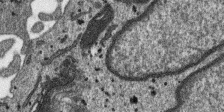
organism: Human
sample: Lung epithelial cells infected with SARS-CoV-2